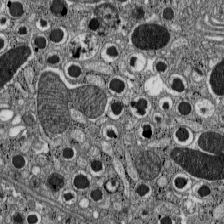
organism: C57BL Mouse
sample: Pancreatic islet